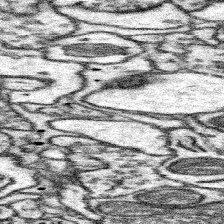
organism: Mouse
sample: Somatosensory cortex neuropil